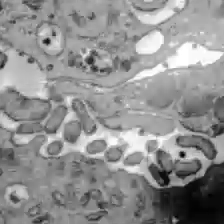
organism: C57BL Mouse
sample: Liver